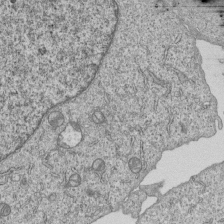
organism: Human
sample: MDA-MB-231 cells